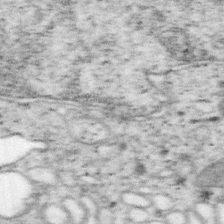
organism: Mouse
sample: OT-I killer T cells with ID8 ovarian cancer cells